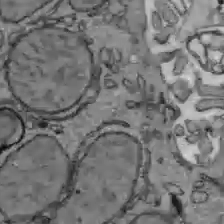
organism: C57BL Mouse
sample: Liver